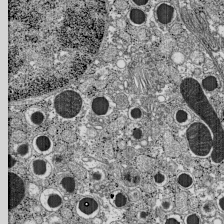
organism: C57BL Mouse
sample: Pancreatic islet